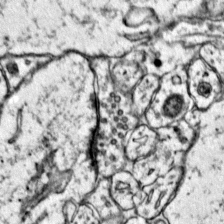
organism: Mouse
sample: Primary visual cortex